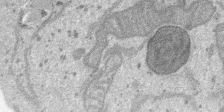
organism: Human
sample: Lung epithelial cells infected with SARS-CoV-2